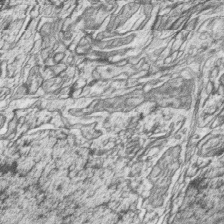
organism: Zebrafish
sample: synaptic ribbons in rod cells and cone cells